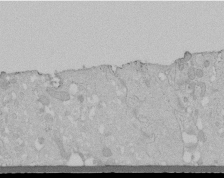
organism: Human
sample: Melanocyte Keratinocyte synapse skin construct